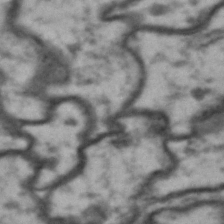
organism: Drosophila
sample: Brain